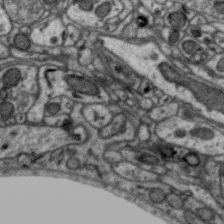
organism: Zebra finch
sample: Brain